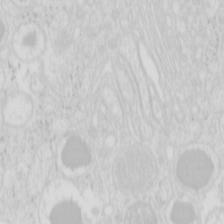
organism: Mouse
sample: Pancreas